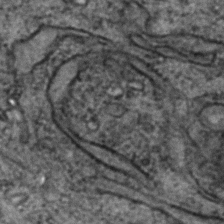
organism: Zebrafish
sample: Zebrafish embryo